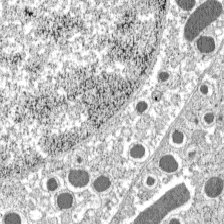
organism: C57BL Mouse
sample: Pancreatic islet